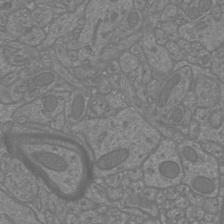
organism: Mouse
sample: Cortical neurons